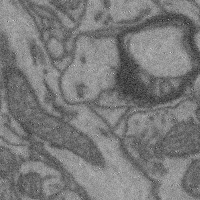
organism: Mouse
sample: Cerebral cortex